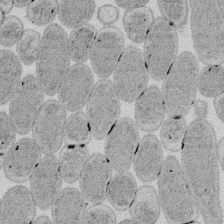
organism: E. coli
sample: Bacterial nucleoid